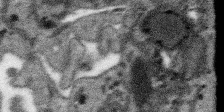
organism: Human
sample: Lung epithelial cells infected with SARS-CoV-2